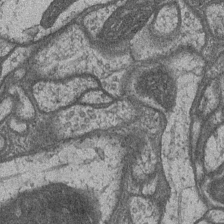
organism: Drosophila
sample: Optic medulla